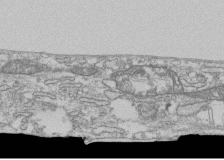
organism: Human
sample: Fibroblast cells